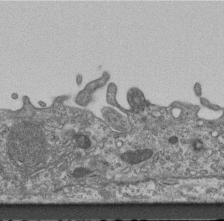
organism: Mouse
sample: Centriole in ependymal cells